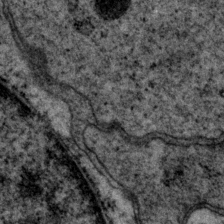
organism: P. pacificus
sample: Pharynx